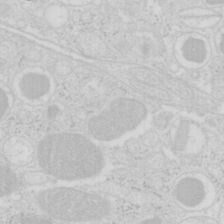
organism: Mouse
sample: Pancreas